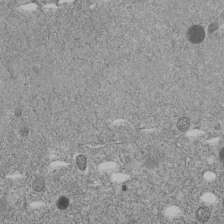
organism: C. elegans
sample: C. elegans embryo early stage